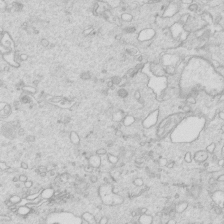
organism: Mouse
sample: Multiciliated cells